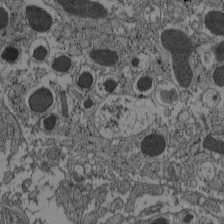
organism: C57BL Mouse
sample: Pancreatic islet